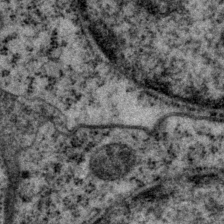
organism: P. pacificus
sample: Pharynx